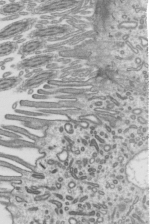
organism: Mouse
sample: Mouse epididymis efferent ductule cilia